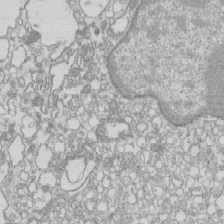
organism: Mouse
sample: Macrophages